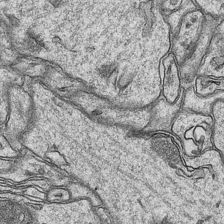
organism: Mouse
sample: CA1 Hippocampus